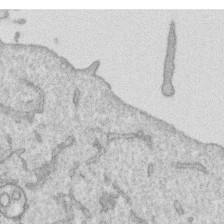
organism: Human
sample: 1205lu cells